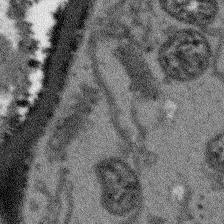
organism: Arabidopsis thaliana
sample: Root tip